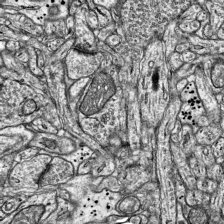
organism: Mouse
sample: Visual Cortex